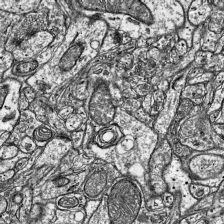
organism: Mouse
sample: Visual Cortex